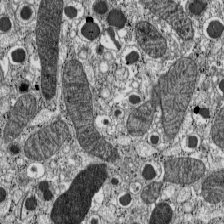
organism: C57BL Mouse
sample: Pancreatic islet